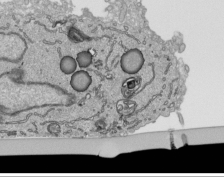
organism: Human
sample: Mitochondria in HCT116 cells